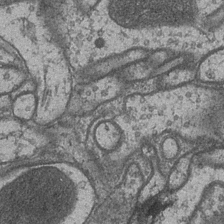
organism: Drosophila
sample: Optic medulla